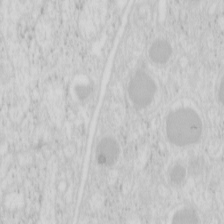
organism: Mouse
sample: Pancreas